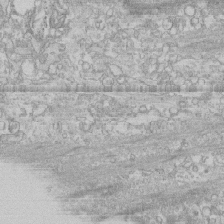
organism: Human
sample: CRL-1474